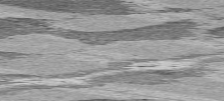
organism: C57BL Mouse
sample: Heart